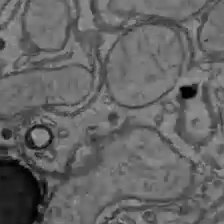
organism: C57BL Mouse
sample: Liver